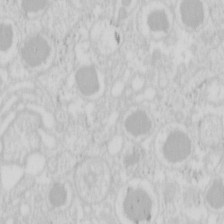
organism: Mouse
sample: Pancreas